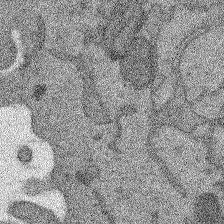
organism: Human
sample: HeLa cells